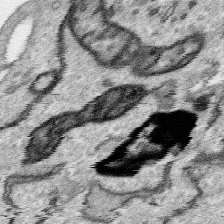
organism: Human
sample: HeLa cells